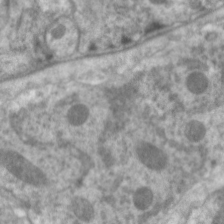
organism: C. elegans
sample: Pharynx